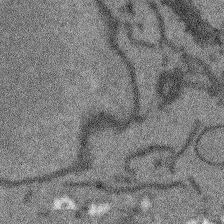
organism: Arabidopsis thaliana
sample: Root tip